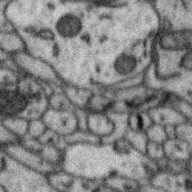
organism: Zebra finch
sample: Brain